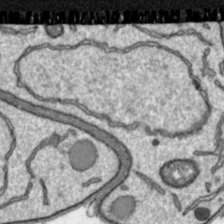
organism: Toxoplasma gondii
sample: Parasites in a vacuole inside a host cell